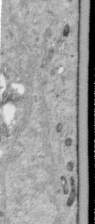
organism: Human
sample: Centriole in RPE cells